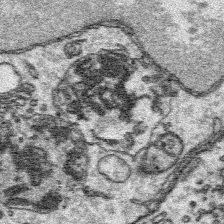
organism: Platynereis dumerilii